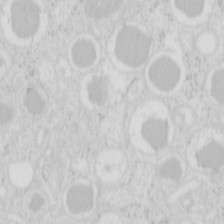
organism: Mouse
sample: Pancreas